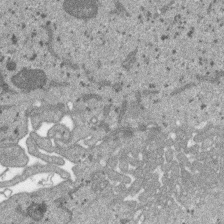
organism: Human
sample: Lung epithelial cells infected with SARS-CoV-2